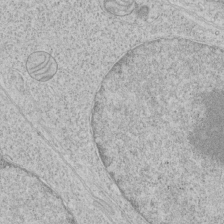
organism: Human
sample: Mitochondria in HCT116 cells